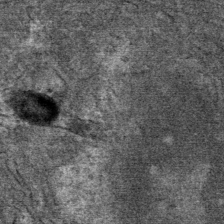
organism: Mouse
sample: Mouse Salivary gland